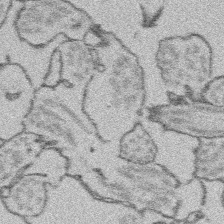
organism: Platynereis dumerilii